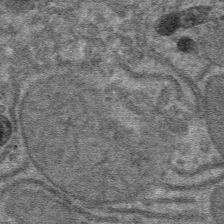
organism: Mouse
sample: Mouse hepatocytes